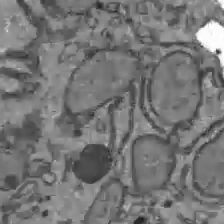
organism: C57BL Mouse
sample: Liver